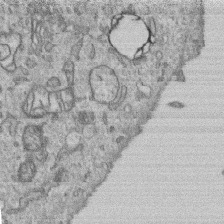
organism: Human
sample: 1205lu cells